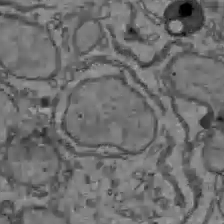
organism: C57BL Mouse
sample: Liver